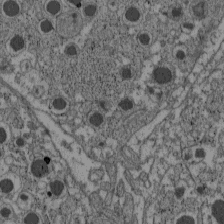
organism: C57BL Mouse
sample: Pancreatic islet